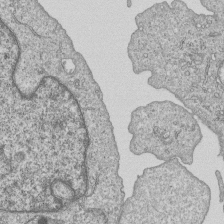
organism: Human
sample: MDA-MB-231 cells